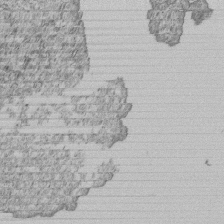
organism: Human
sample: MDA-MB-231 cells